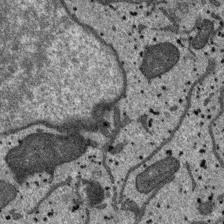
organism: Human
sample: Lung epithelial cells, uninfected (mock) control